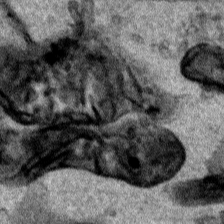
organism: Human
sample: Mitochondria in HCT116 cells